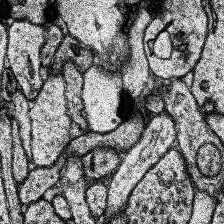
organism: Human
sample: Temporal Lobe